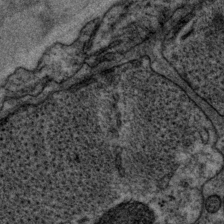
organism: P. pacificus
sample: Pharynx